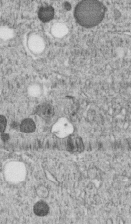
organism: C. elegans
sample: C. elegans embryo early stage